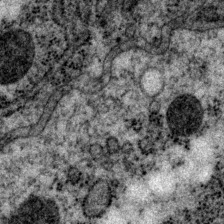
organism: P. pacificus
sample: Pharynx